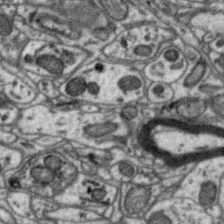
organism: Zebra finch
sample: Brain